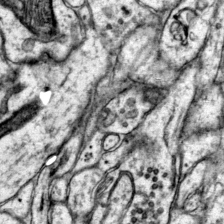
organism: Mouse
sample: Primary visual cortex